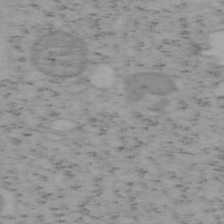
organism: Mouse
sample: OT-I killer T cells with ID8 ovarian cancer cells